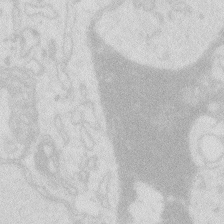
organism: Zebrafish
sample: Macrophage